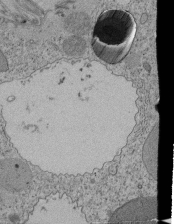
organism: Tetrahymena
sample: Cilia in tetrahymena